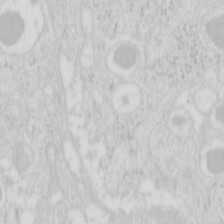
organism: Mouse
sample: Pancreas